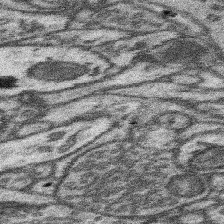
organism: Mouse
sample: Somatosensory cortex neuropil